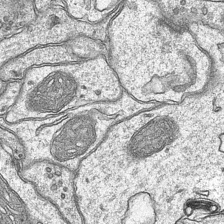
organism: Mouse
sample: CA1 Hippocampus